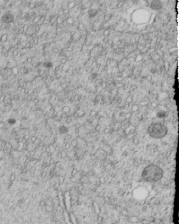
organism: C. elegans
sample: C. elegans embryo early stage